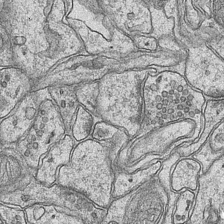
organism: Mouse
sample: CA1 Hippocampus